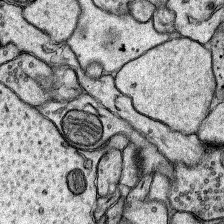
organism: Rat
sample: Hippocampus